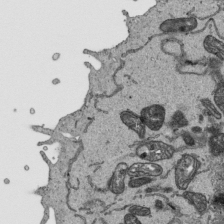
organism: Human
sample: Mitochondria in HCT116 cells